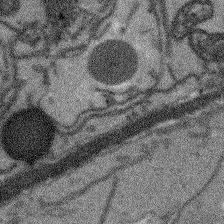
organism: Arabidopsis thaliana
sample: Root tip